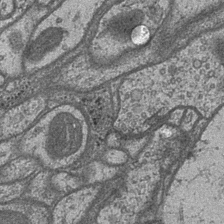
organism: Drosophila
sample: Optic medulla